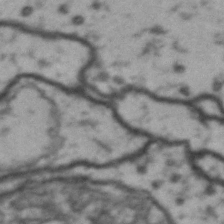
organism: Drosophila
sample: Brain